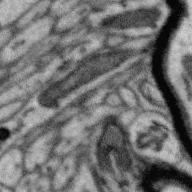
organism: Zebra finch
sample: Brain